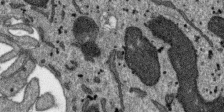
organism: Human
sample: Lung epithelial cells, uninfected (mock) control